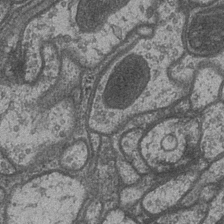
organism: Drosophila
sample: Optic medulla